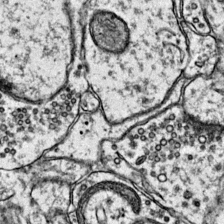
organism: Mouse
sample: Primary visual cortex